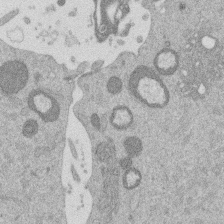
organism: Mouse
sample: Dividing mouse embryo 1 cell stage